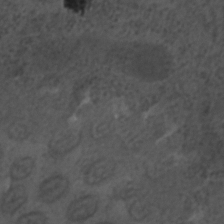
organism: C. elegans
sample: C. elegans embryo